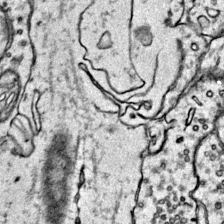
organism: Mouse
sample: Primary visual cortex